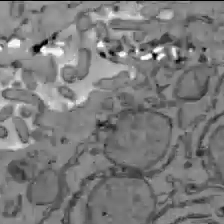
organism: C57BL Mouse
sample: Liver